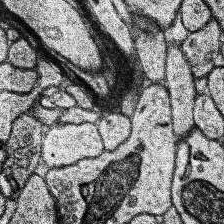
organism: Human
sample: Temporal Lobe